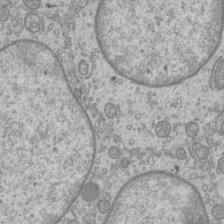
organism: Mouse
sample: Cilia; mouse epididymis